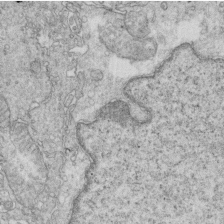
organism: Mouse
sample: Multiciliated cells